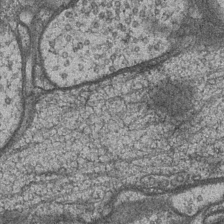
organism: Drosophila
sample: Optic medulla